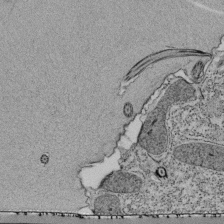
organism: Tetrahymena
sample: Cilia in tetrahymena